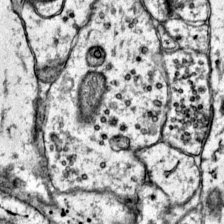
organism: Mouse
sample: Primary visual cortex